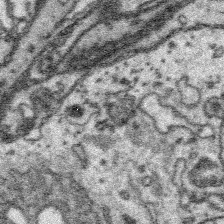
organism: Platynereis dumerilii